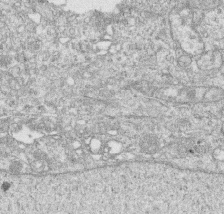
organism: Human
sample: HeLa cell HIV synapse